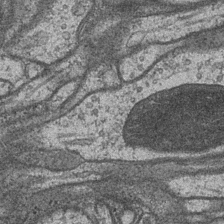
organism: Drosophila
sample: Optic medulla